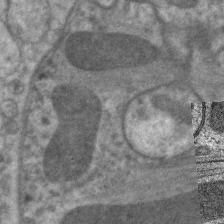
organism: C. elegans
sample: Pharynx